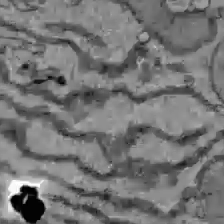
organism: C57BL Mouse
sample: Liver